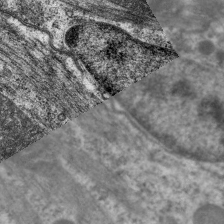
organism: C. elegans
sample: Pharynx